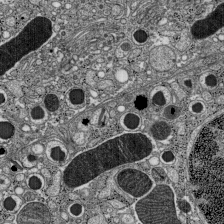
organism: C57BL Mouse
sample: Pancreatic islet